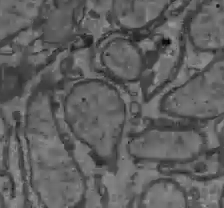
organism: C57BL Mouse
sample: Liver